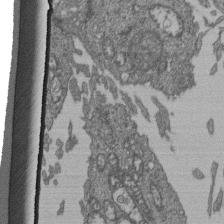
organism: Human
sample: Retinal organoid Rod and Cone cells